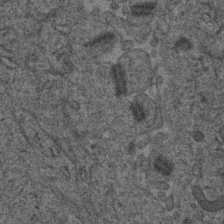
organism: Human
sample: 1205lu cells